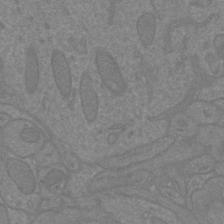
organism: Mouse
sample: Cortical neurons